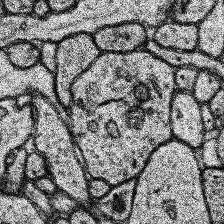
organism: Human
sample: Temporal Lobe